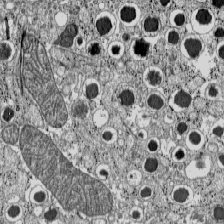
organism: C57BL Mouse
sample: Pancreatic islet